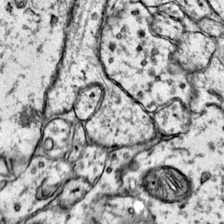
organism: Mouse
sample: Primary visual cortex